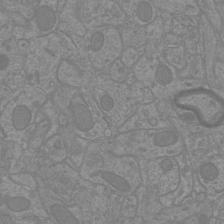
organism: Mouse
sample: Cortical neurons